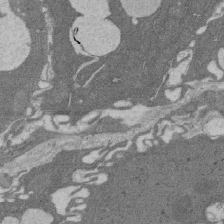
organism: Rat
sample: Salivary granule